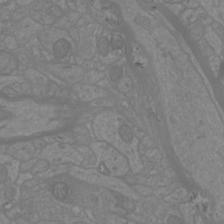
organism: Mouse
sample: Cortical neurons